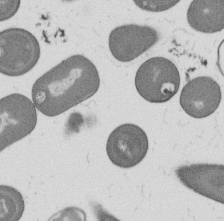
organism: B. subtilis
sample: Bacterial spore